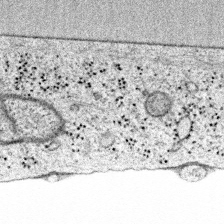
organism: Human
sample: HeLa cells